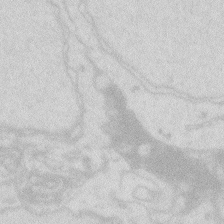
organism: Zebrafish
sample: Macrophage